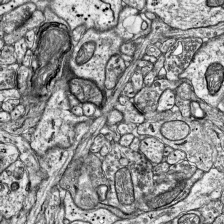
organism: Mouse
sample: Visual Cortex